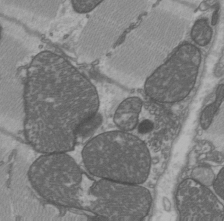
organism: C57BL Mouse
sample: Heart